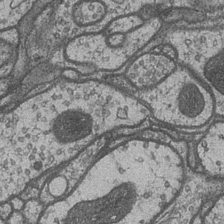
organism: Drosophila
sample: Optic medulla